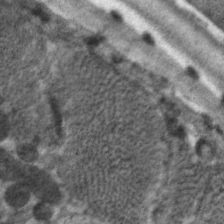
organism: C. elegans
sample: Pharynx